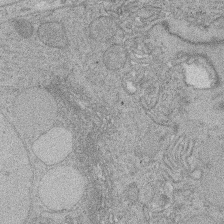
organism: Rat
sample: Salivary granule